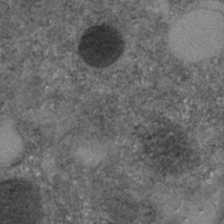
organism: C. elegans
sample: C. elegans embryo